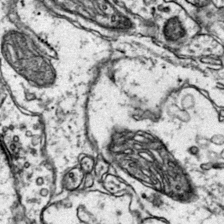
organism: Mouse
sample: Primary visual cortex